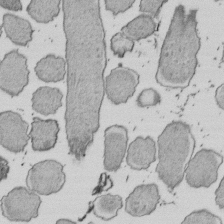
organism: E. coli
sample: Bacterial nucleoid